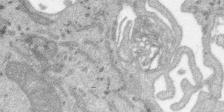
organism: Human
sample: Lung epithelial cells infected with SARS-CoV-2